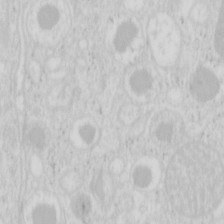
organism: Mouse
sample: Pancreas